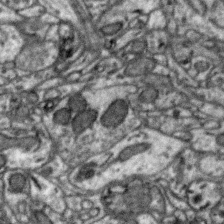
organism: Zebra finch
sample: Brain